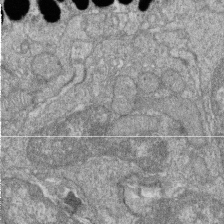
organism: Zebrafish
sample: Cilia; retinal pigment epithelium